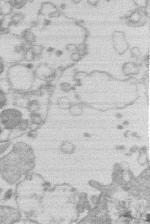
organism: Human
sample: Macrophage cells